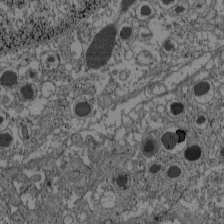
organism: C57BL Mouse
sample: Pancreatic islet